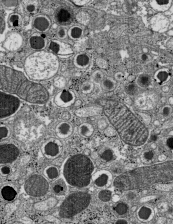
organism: C57BL Mouse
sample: Pancreatic islet